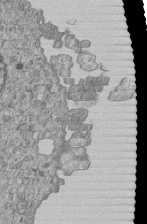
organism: Human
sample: MDA-MB-231 cells